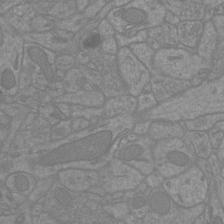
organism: Mouse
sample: Cortical neurons